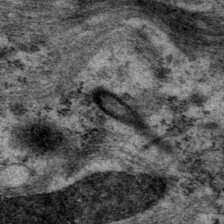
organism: P. pacificus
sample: Pharynx